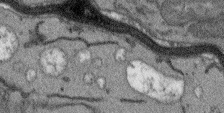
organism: Arabidopsis thaliana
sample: Root tip